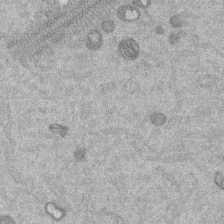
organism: Mouse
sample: Dividing mouse embryo 1 cell stage